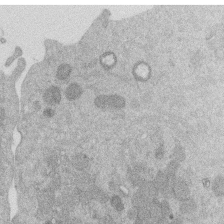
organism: Mouse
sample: Dividing mouse embryo 1 cell stage